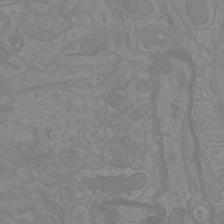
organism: Mouse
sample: Cortical neurons